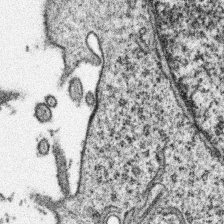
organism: Human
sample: HeLa cells